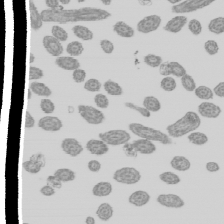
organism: Mouse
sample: Cilia; mouse epididymis